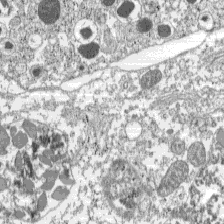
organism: C57BL Mouse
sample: Pancreatic islet